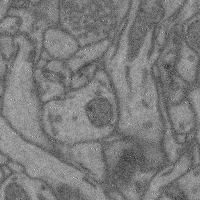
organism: Mouse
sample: Cerebral cortex